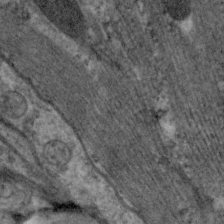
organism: C. elegans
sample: Pharynx